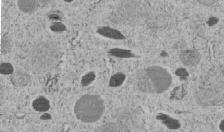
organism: C. elegans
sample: C. elegans embryo early stage